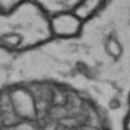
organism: Drosophila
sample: Brain